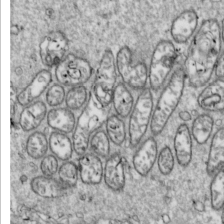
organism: Drosophila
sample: Cell division; meiosis; drosophila spermatocytes